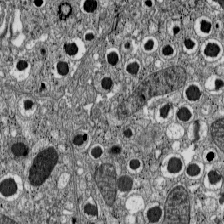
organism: C57BL Mouse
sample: Pancreatic islet